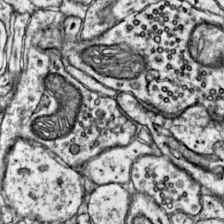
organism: Mouse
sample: Primary visual cortex